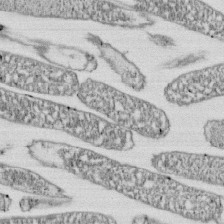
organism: E. coli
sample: Bacterial nucleoid